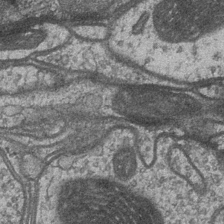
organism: Drosophila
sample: Optic medulla